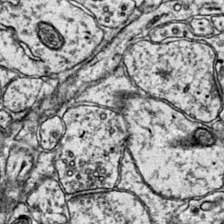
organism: Mouse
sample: Primary visual cortex